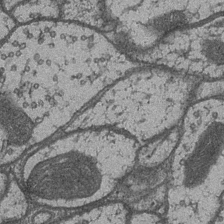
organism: Drosophila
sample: Optic medulla